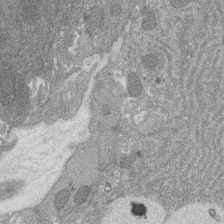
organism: Rat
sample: Salivary granule